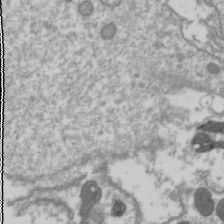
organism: Drosophila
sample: Cell division; meiosis; drosophila spermatocytes